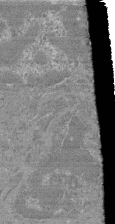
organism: Mouse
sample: Glomerulus